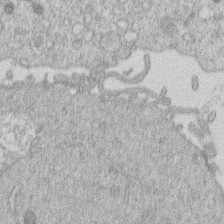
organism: Human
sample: Macrophage cells